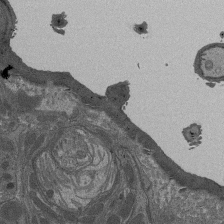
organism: Drosophila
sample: Antenna